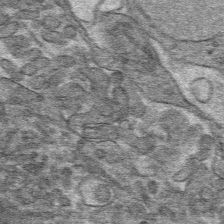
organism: Mouse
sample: Mouse hepatocytes